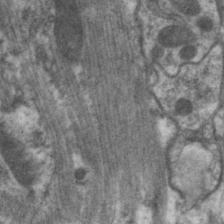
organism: C. elegans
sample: Pharynx